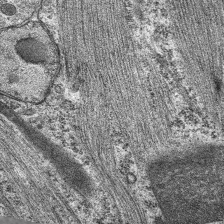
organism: C. elegans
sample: Pharynx